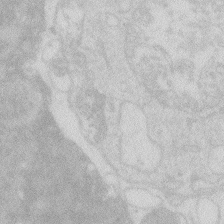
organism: Zebrafish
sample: Macrophage